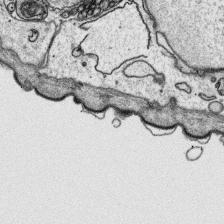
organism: Platynereis dumerilii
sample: Parapodia